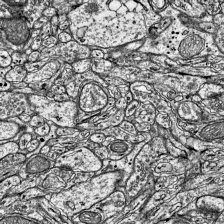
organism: Mouse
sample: Visual Cortex